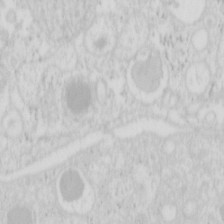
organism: Mouse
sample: Pancreas